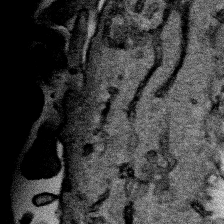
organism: Human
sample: Mitochondria in HCT116 cells